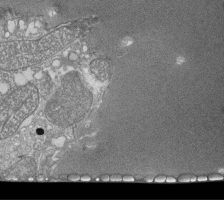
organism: Tetrahymena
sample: Cilia in tetrahymena